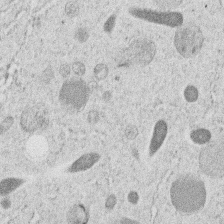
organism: C. elegans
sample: C. elegans embryo early stage